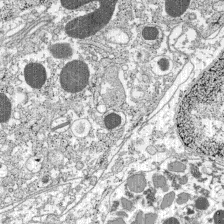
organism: C57BL Mouse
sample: Pancreatic islet